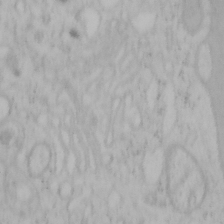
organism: Mouse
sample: OT-I killer T cells with ID8 ovarian cancer cells